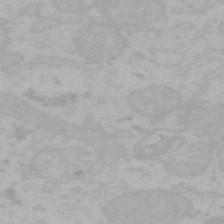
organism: Mouse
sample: Choroid plexus